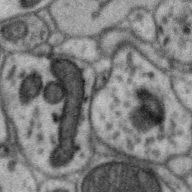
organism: Zebra finch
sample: Brain